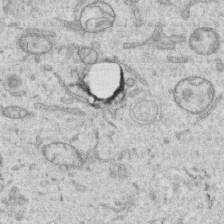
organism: Human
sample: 1205lu cells